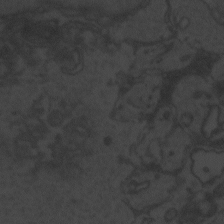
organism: Zebrafish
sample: Macrophage infected with Toxoplasma gondii